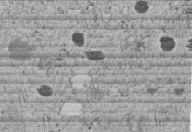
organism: C. elegans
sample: C. elegans embryo early stage